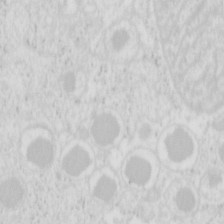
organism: Mouse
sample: Pancreas